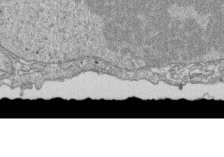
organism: Human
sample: HeLa cell HIV synapse